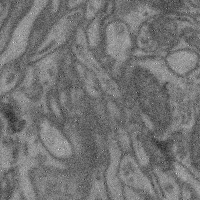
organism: Mouse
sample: Cerebral cortex